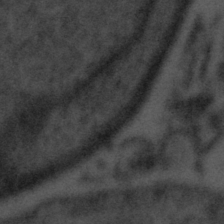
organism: Tuwongella immobilis